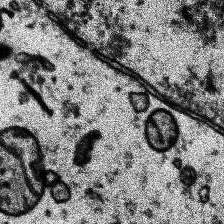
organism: Human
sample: Temporal Lobe